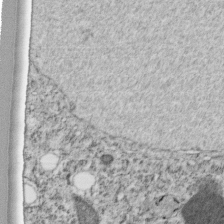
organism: C. elegans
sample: C. elegans embryo early stage